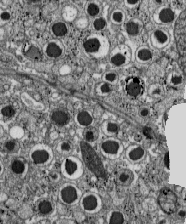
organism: C57BL Mouse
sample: Pancreatic islet